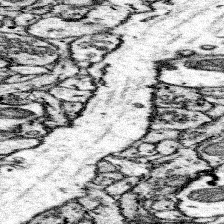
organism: Mouse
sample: Somatosensory cortex neuropil